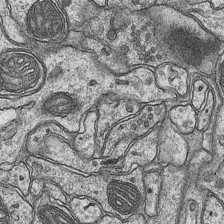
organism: Mouse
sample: CA1 Hippocampus